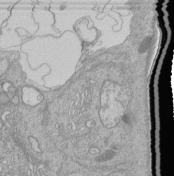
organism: Human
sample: Retinal organoid Rod and Cone cells